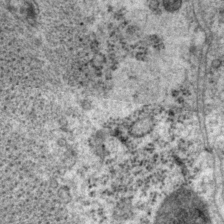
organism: P. pacificus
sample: Pharynx